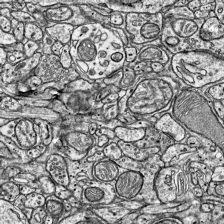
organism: Mouse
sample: Visual Cortex